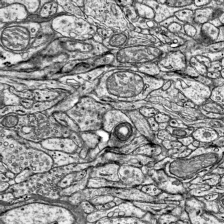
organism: Mouse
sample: Visual Cortex